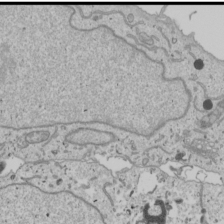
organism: Human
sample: Mitochondria in U2OS cells